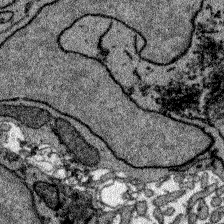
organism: Zebrafish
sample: Larval olfactory bulb